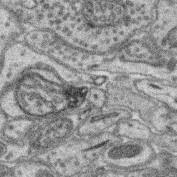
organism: Mouse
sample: Retina